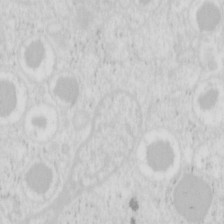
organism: Mouse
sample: Pancreas